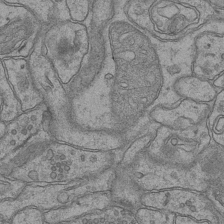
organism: Mouse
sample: CA1 Hippocampus